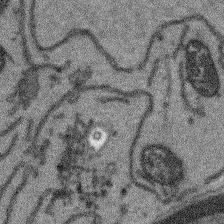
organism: Arabidopsis thaliana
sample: Root tip